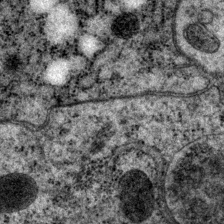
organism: P. pacificus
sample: Pharynx